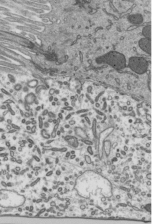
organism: Mouse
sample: Mouse epididymis efferent ductule cilia